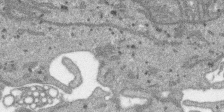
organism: Human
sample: Lung epithelial cells infected with SARS-CoV-2